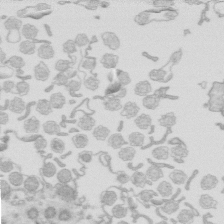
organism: Mouse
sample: Multiciliated cells